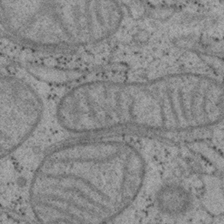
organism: Human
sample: HeLa cells